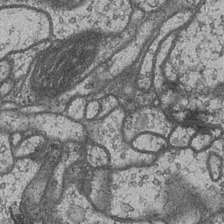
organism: Drosophila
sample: Optic medulla